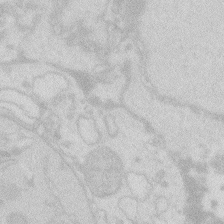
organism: Zebrafish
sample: Macrophage